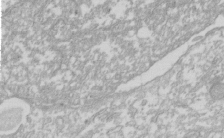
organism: Xenopus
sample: Cilia; centrioles in frog embryo cells